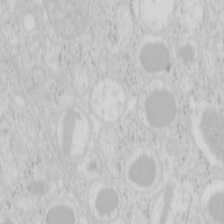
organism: Mouse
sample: Pancreas